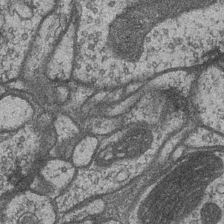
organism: Drosophila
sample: Optic medulla